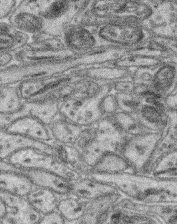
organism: Mouse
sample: Retina